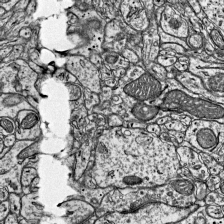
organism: Mouse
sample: Visual Cortex